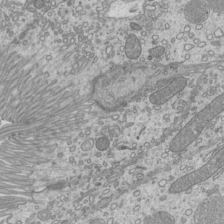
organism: Mouse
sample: Cilia; mouse epididymis